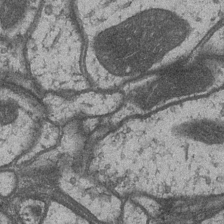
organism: Drosophila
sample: Optic medulla